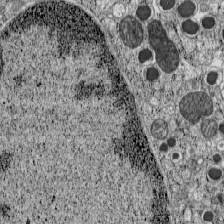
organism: C57BL Mouse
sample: Pancreatic islet